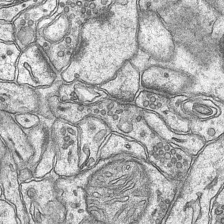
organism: Mouse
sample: CA1 Hippocampus